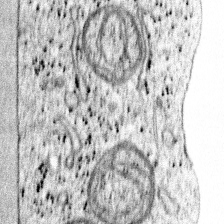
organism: Human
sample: HeLa cells